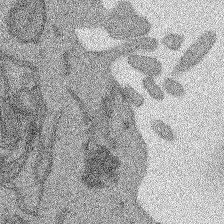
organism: Human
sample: HeLa cells